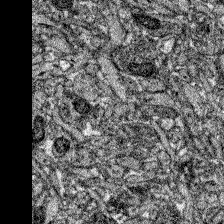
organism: Zebrafish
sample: Larval olfactory bulb